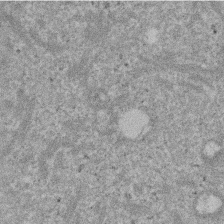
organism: Mouse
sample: Dividing mouse embryo 1 cell stage